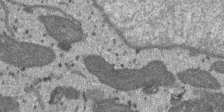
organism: Human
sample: Lung epithelial cells infected with SARS-CoV-2